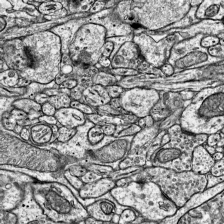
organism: Mouse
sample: Visual Cortex